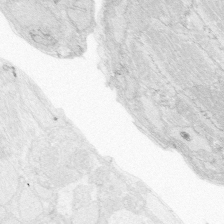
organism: Zebrafish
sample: Whole-Brain